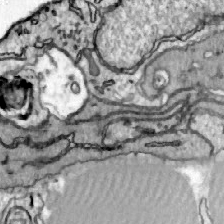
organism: Zebrafish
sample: Actinotrichia fibers